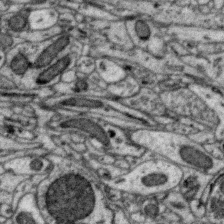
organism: Zebra finch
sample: Brain